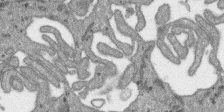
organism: Human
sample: Lung epithelial cells infected with SARS-CoV-2